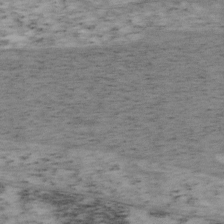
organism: Mouse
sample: OT-I killer T cells with ID8 ovarian cancer cells